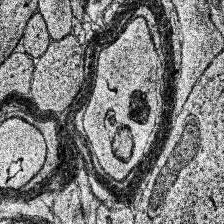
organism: Human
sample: Temporal Lobe